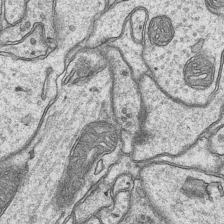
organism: Mouse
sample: CA1 Hippocampus